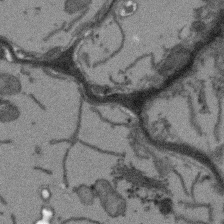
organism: Arabidopsis thaliana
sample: Root tip